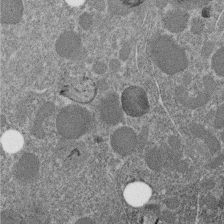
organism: C. elegans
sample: C. elegans embryo early stage